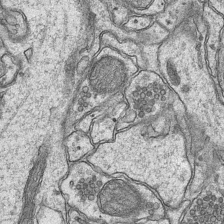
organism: Mouse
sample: CA1 Hippocampus